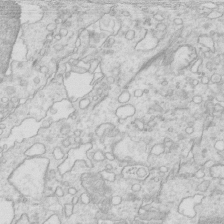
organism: Mouse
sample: Multiciliated cells